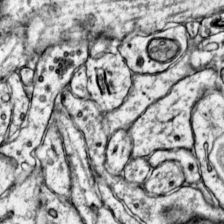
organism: Mouse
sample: Primary visual cortex